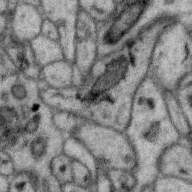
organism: Zebra finch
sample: Brain